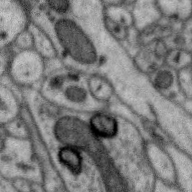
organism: Zebra finch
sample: Brain